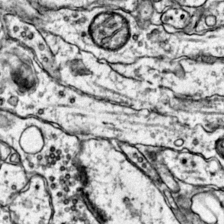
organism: Mouse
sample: Primary visual cortex